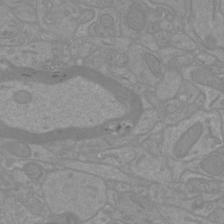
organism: Mouse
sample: Cortical neurons